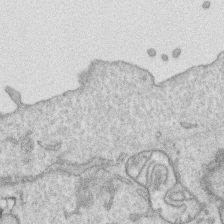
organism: Human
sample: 1205lu cells